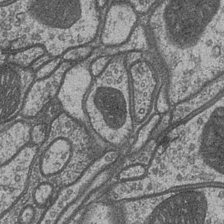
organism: Drosophila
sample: Optic medulla